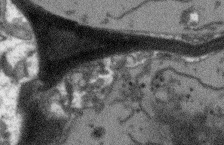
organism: Arabidopsis thaliana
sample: Root tip